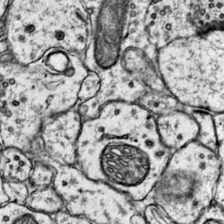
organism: Mouse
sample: Primary visual cortex